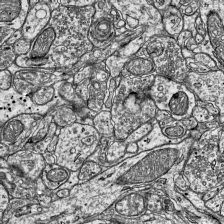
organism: Mouse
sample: Visual Cortex